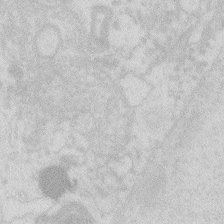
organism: Zebrafish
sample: Macrophage